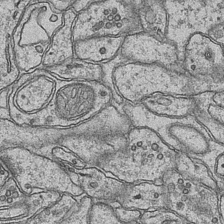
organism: Mouse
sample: CA1 Hippocampus